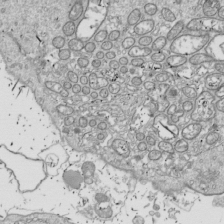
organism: Drosophila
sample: Cell division; meiosis; drosophila spermatocytes